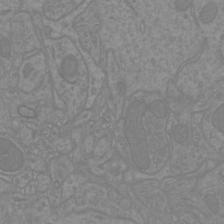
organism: Mouse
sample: Cortical neurons